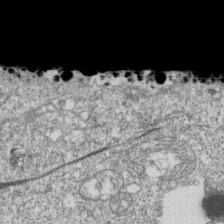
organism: Human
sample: HeLa cell HIV synapse